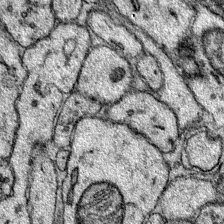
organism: Mouse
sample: Primary visual cortex